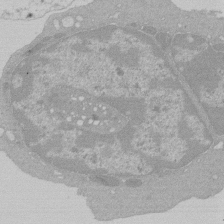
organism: Mouse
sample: Activated Pmel transgenic CD8+ T Cells